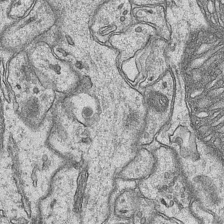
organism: Mouse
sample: CA1 Hippocampus